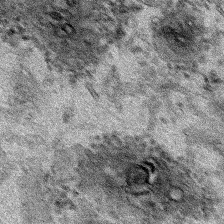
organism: Human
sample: Mitochondria in HCT116 cells